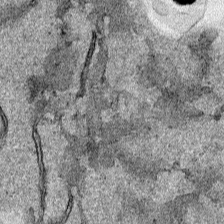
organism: Human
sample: Mitochondria in HCT116 cells